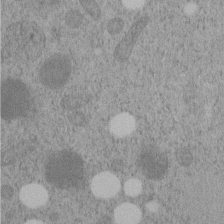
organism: C. elegans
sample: C. elegans embryo early stage